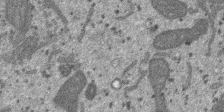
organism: Human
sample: Lung epithelial cells infected with SARS-CoV-2